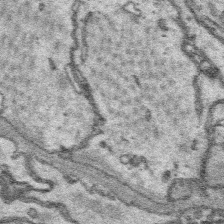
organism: Platynereis dumerilii